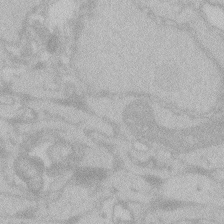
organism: Zebrafish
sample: Macrophage infected with Toxoplasma gondii